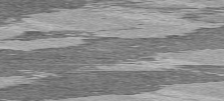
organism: C57BL Mouse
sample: Heart